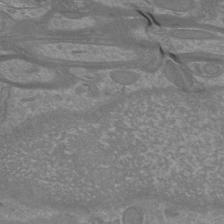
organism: Mouse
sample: Cortical neurons